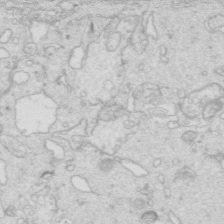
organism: Mouse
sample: Multiciliated cells